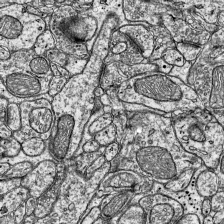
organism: Mouse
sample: Visual Cortex